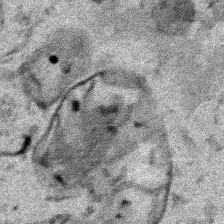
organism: Human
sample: Mitochondria in HCT116 cells